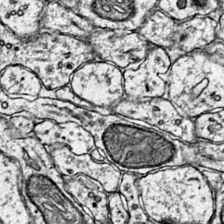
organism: Mouse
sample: Primary visual cortex